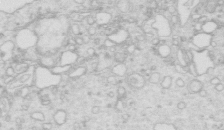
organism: Mouse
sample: Multiciliated cells